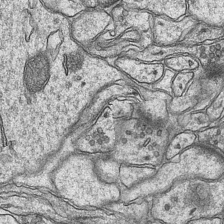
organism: Mouse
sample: CA1 Hippocampus